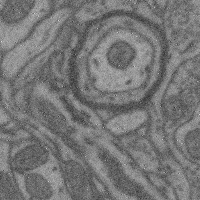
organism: Mouse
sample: Cerebral cortex